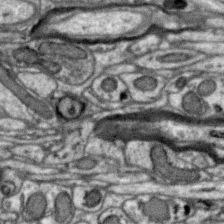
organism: Zebra finch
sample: Brain